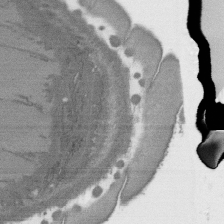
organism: C. elegans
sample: AFD neurons C. elegans